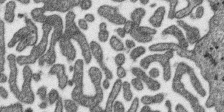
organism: Human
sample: Lung epithelial cells infected with SARS-CoV-2